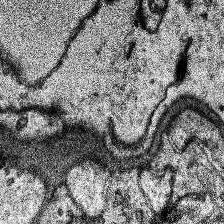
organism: Human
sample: Temporal Lobe